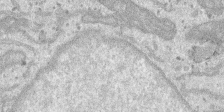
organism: Human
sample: Lung epithelial cells infected with SARS-CoV-2